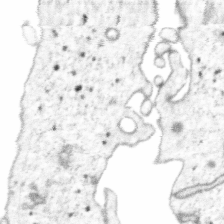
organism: Human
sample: HeLa cells